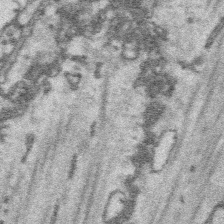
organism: Platynereis dumerilii